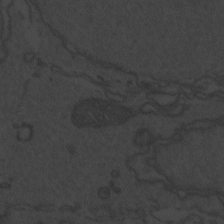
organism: Zebrafish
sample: Macrophage infected with Toxoplasma gondii